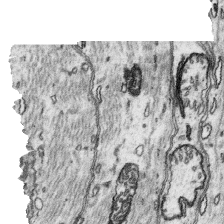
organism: Platynereis dumerilii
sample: Parapodia